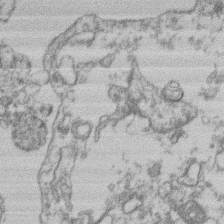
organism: Mouse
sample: T cell stromal cell synapse